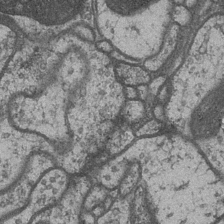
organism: Drosophila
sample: Optic medulla